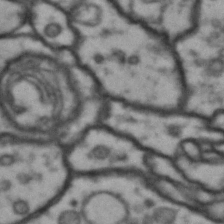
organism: Drosophila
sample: Brain